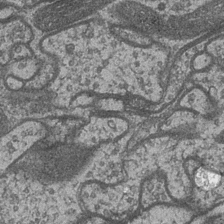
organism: Drosophila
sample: Optic medulla